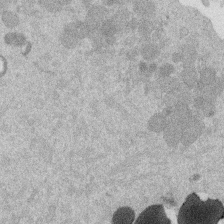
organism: Mouse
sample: Dividing mouse embryo 1 cell stage